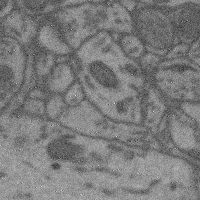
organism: Mouse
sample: Cerebral cortex